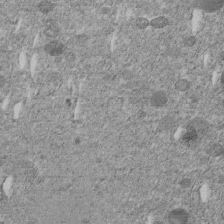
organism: C. elegans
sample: C. elegans embryo early stage